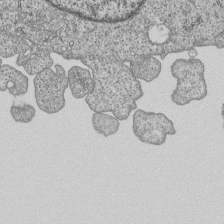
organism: Human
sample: MDA-MB-231 cells